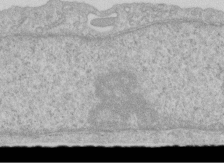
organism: Human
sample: Centriole in RPE cells